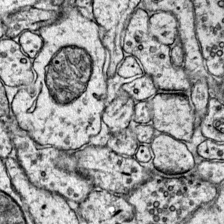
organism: Mouse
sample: Primary visual cortex